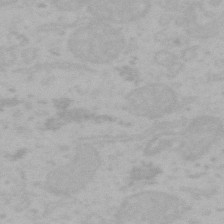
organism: Mouse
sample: Choroid plexus